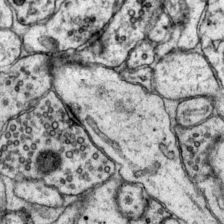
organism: Mouse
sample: Primary visual cortex